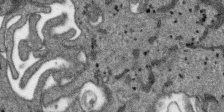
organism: Human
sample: Lung epithelial cells, uninfected (mock) control